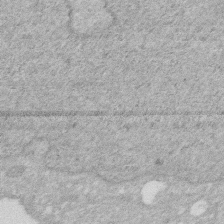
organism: Human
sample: HIV infected U937 cells